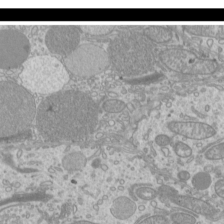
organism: Mouse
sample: Cilia; mouse epididymis